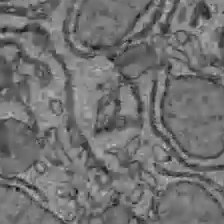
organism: C57BL Mouse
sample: Liver